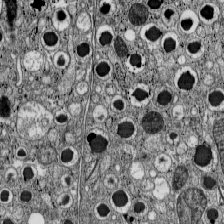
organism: C57BL Mouse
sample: Pancreatic islet